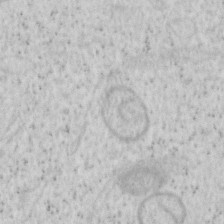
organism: Human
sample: HeLa cells